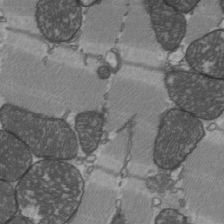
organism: C57BL Mouse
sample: Heart